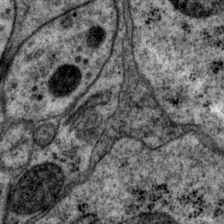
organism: P. pacificus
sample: Pharynx